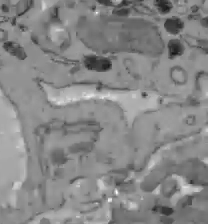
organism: C57BL Mouse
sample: Liver